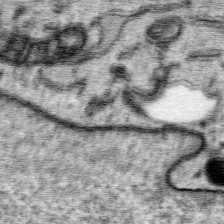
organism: Human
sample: HeLa cells